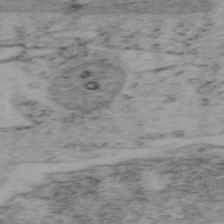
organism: Mouse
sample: OT-I killer T cells with ID8 ovarian cancer cells